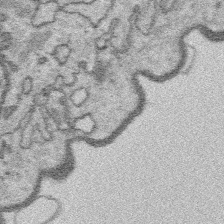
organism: Platynereis dumerilii